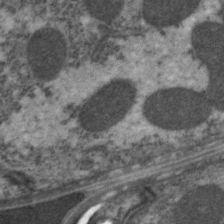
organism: C. elegans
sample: Pharynx